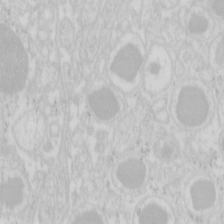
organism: Mouse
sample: Pancreas